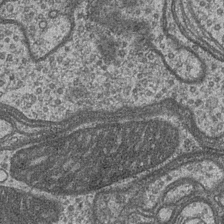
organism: Drosophila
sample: Optic medulla